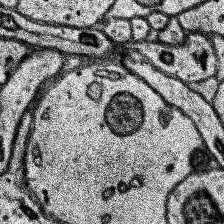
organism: Human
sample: Temporal Lobe